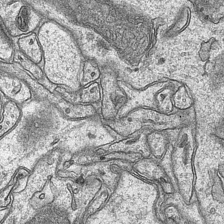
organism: Mouse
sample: CA1 Hippocampus